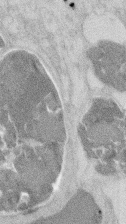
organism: Mouse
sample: T cell stromal cell synapse